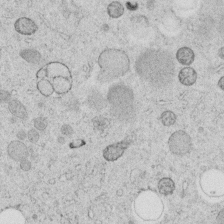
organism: C. elegans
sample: C. elegans embryo early stage